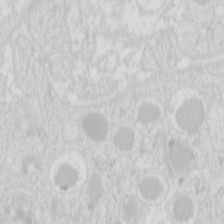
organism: Mouse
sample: Pancreas